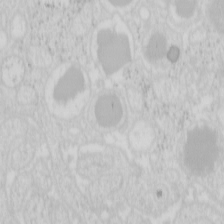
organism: Mouse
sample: Pancreas